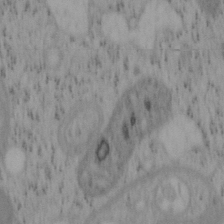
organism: Mouse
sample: OT-I killer T cells with ID8 ovarian cancer cells